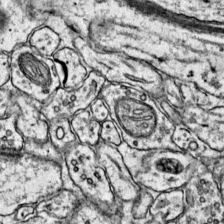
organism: Mouse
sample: Primary visual cortex